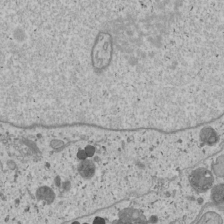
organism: Human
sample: Mitochondria in U2OS cells